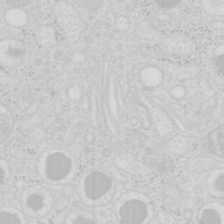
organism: Mouse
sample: Pancreas